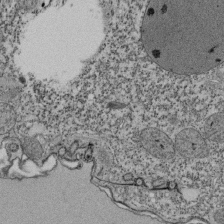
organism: Tetrahymena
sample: Cilia in tetrahymena